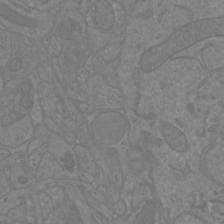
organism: Mouse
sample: Cortical neurons